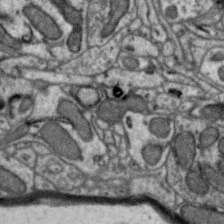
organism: Zebra finch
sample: Brain